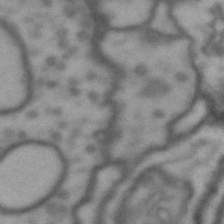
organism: Drosophila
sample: Brain